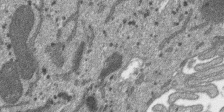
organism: Human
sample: Lung epithelial cells infected with SARS-CoV-2